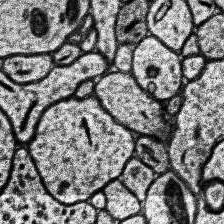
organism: Human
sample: Temporal Lobe